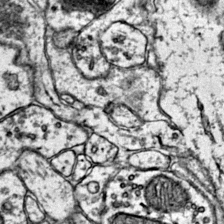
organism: Mouse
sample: Primary visual cortex